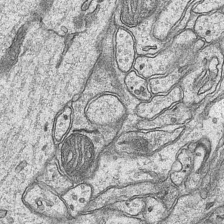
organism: Mouse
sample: CA1 Hippocampus